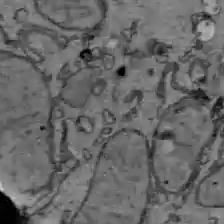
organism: C57BL Mouse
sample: Liver